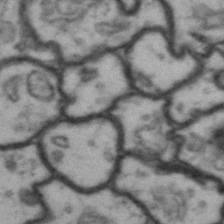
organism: Drosophila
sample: Brain